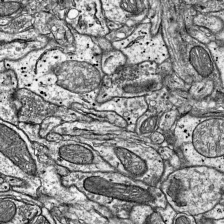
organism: Mouse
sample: Visual Cortex